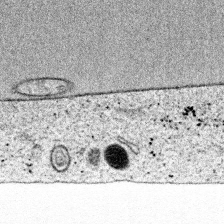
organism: Human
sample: HeLa cells